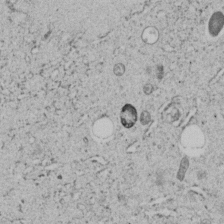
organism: C. elegans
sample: C. elegans embryo early stage